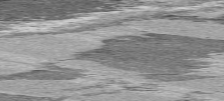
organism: C57BL Mouse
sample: Heart